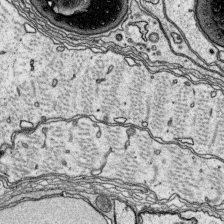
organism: Platynereis dumerilii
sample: Parapodia